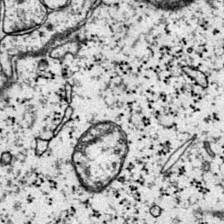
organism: Mouse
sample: Primary visual cortex